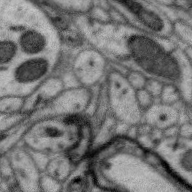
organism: Zebra finch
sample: Brain